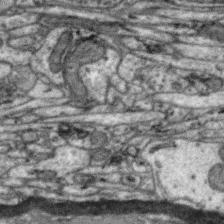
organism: Zebra finch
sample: Brain